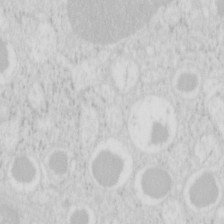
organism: Mouse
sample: Pancreas